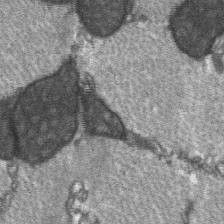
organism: C57BL Mouse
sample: Soleus